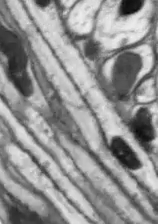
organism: Drosophila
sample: Optic lobe